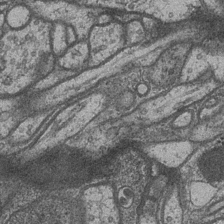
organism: Drosophila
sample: Optic medulla